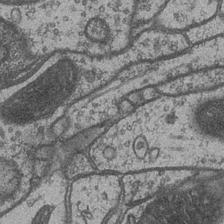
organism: Drosophila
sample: Optic medulla